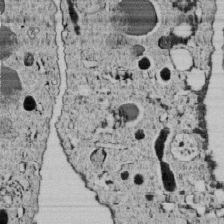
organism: C. elegans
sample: C. elegans embryo early stage